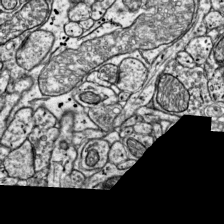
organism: Mouse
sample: Visual Cortex